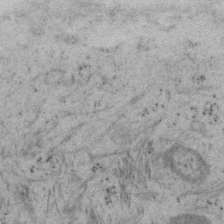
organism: Human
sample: HeLa cells